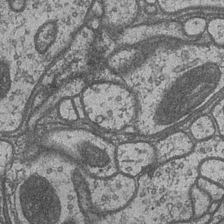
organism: Drosophila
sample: Optic medulla